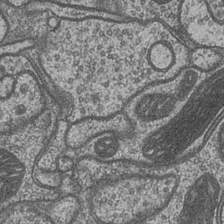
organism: Drosophila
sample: Optic medulla